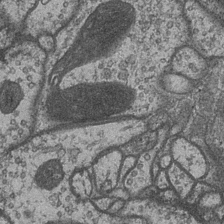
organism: Drosophila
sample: Optic medulla